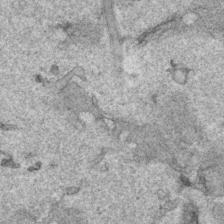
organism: Human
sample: Mitochondria in HCT116 cells